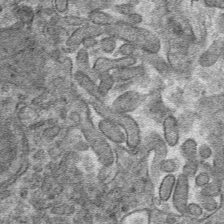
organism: Mouse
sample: Mouse hepatocytes